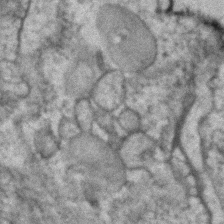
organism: Human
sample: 1205lu cells